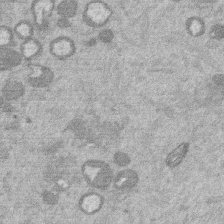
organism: Mouse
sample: Dividing mouse embryo 1 cell stage